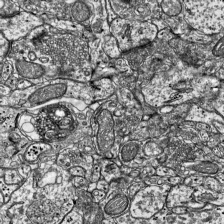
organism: Mouse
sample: Visual Cortex